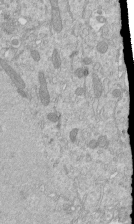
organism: Mouse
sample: ED-1 cell nuclei; centrioles